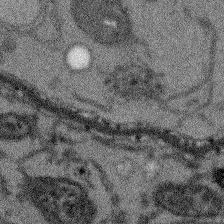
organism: Arabidopsis thaliana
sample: Root tip